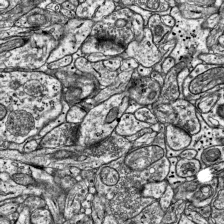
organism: Mouse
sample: Visual Cortex